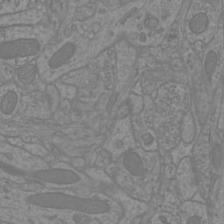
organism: Mouse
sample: Cortical neurons